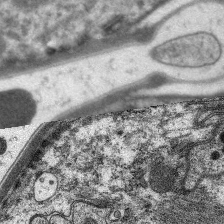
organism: C. elegans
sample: Pharynx